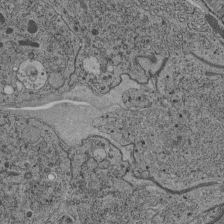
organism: C. elegans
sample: C. elegans pharynx